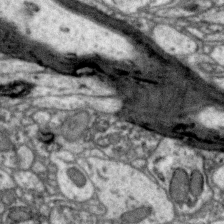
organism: Zebra finch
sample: Brain